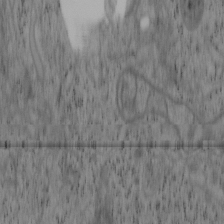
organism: Human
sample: HeLa cells